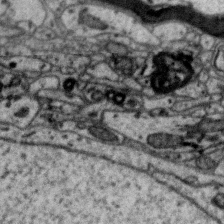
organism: Zebra finch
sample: Brain